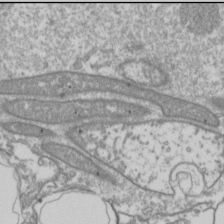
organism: Drosophila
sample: Cell division; meiosis; drosophila spermatocytes